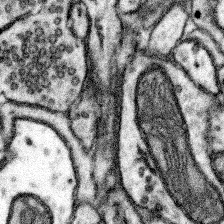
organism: Mouse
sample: Somatosensory cortex neuropil